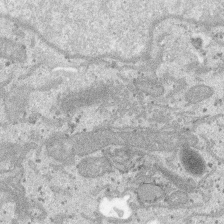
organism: Human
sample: Lung epithelial cells infected with SARS-CoV-2